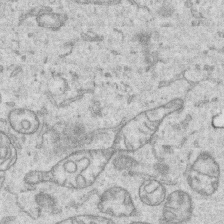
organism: Human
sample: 1205lu cells